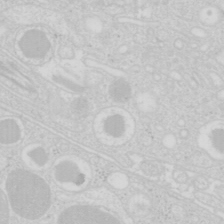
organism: Mouse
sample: Pancreas